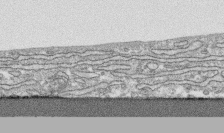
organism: Human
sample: CRL-1474